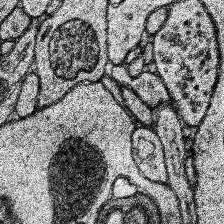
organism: Human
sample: Temporal Lobe